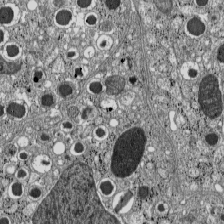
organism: C57BL Mouse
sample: Pancreatic islet